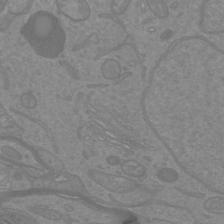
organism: Mouse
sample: Cortical neurons